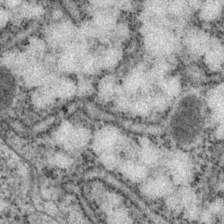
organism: P. pacificus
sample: Pharynx